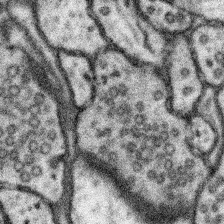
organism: Mouse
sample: Somatosensory cortex neuropil